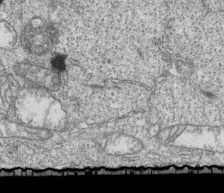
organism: Human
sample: HeLa cell HIV synapse